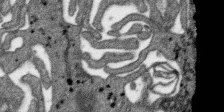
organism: Human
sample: Lung epithelial cells, uninfected (mock) control